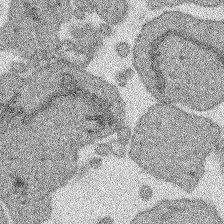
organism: Human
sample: HeLa cells